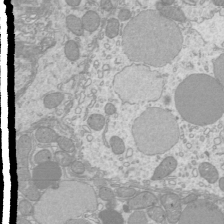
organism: Mouse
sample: Cilia; mouse epididymis